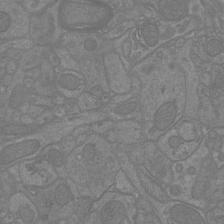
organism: Mouse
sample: Cortical neurons